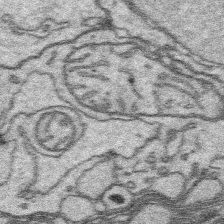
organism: Platynereis dumerilii